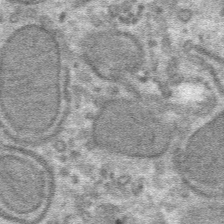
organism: Mouse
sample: Mouse hepatocytes